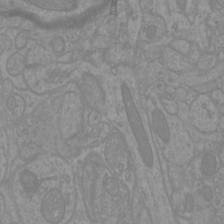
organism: Mouse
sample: Cortical neurons